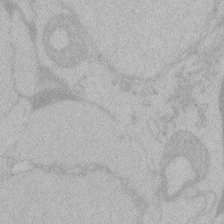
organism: Zebrafish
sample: Macrophage infected with Toxoplasma gondii